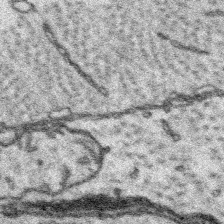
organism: Platynereis dumerilii